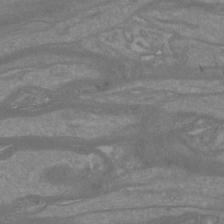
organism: Mouse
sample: Cortical neurons